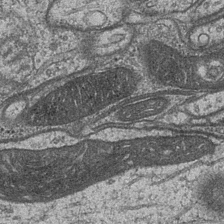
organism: Drosophila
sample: Optic medulla